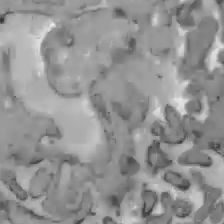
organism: C57BL Mouse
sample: Liver